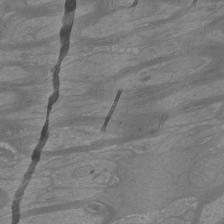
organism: Mouse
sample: Cortical neurons